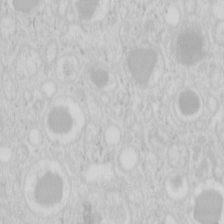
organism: Mouse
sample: Pancreas